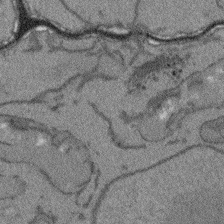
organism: Arabidopsis thaliana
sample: Root tip